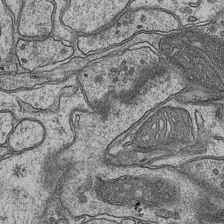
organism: Mouse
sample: CA1 Hippocampus